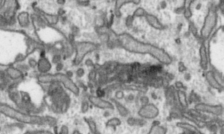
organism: Toxoplasma gondii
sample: Parasites in a vacuole inside a host cell